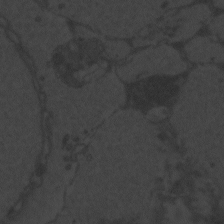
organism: Zebrafish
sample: Macrophage infected with Toxoplasma gondii